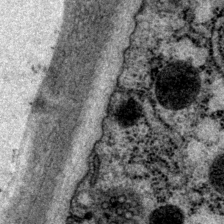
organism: P. pacificus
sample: Pharynx